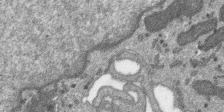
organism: Human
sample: Lung epithelial cells infected with SARS-CoV-2